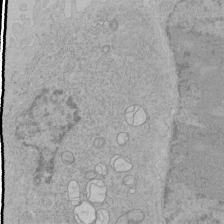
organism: Human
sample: Mitochondria in HCT116 cells